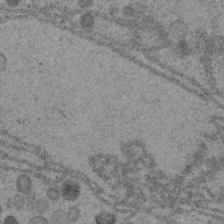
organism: C. elegans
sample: C. elegans embryo early stage